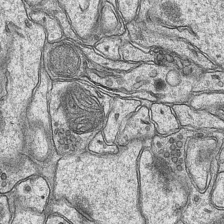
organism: Mouse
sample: CA1 Hippocampus